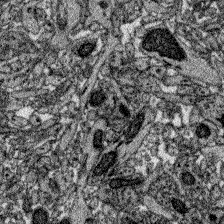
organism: Zebrafish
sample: Larval olfactory bulb